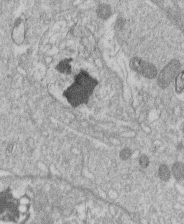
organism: Human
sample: Macrophage cells